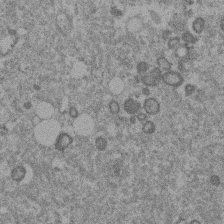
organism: Mouse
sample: Dividing mouse embryo 1 cell stage